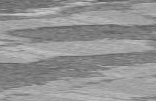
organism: C57BL Mouse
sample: Heart